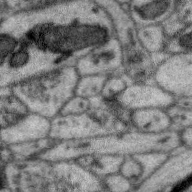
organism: Zebra finch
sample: Brain